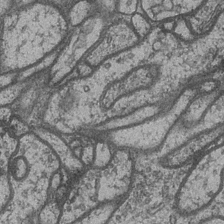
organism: Drosophila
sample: Optic medulla